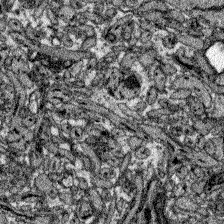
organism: Zebrafish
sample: Larval olfactory bulb